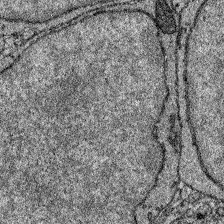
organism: Zebrafish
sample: Larval olfactory bulb